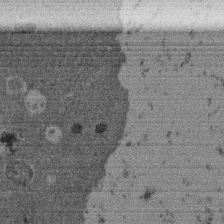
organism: Mouse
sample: Dividing mouse embryo 1 cell stage